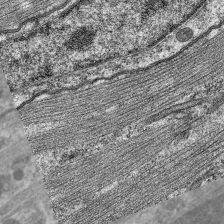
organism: C. elegans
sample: Pharynx